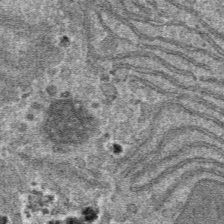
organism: Mouse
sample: Mouse hepatocytes